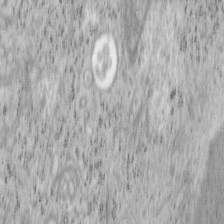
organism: Human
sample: HeLa cells